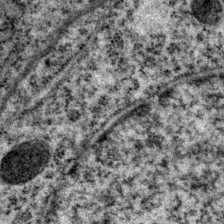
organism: P. pacificus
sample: Pharynx